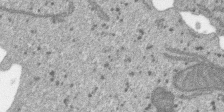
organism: Human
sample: Lung epithelial cells infected with SARS-CoV-2